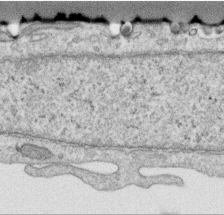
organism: Human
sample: Centriole in RPE cells